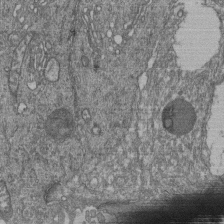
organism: Human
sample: Retinal organoid Rod and Cone cells